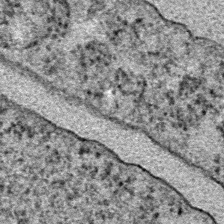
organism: E. coli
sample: E. Coli Bacteria